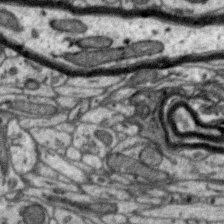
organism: Zebra finch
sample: Brain